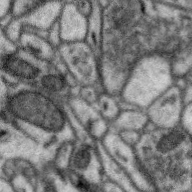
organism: Zebra finch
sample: Brain